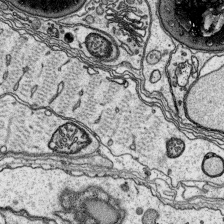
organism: Platynereis dumerilii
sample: Parapodia